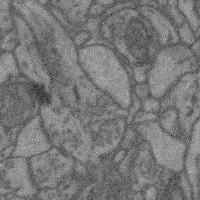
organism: Mouse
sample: Cerebral cortex